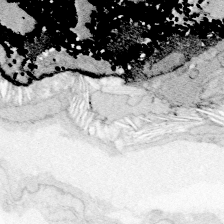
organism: Zebrafish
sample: Whole-Brain